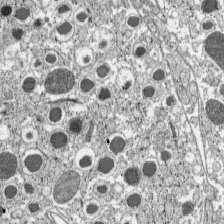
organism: C57BL Mouse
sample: Pancreatic islet